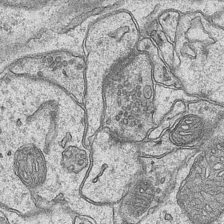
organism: Mouse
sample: CA1 Hippocampus